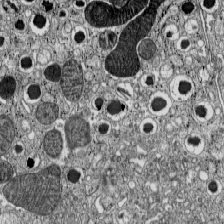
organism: C57BL Mouse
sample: Pancreatic islet